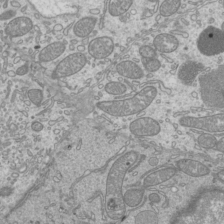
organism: Mouse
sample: Cilia; mouse epididymis